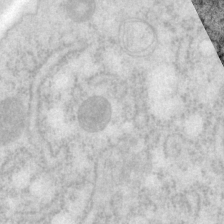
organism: P. pacificus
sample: Pharynx